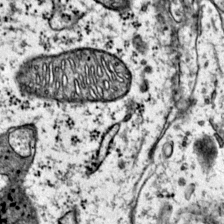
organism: Mouse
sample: Primary visual cortex